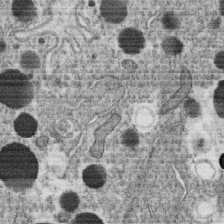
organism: C. elegans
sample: C. elegans oocyte; sperm cells